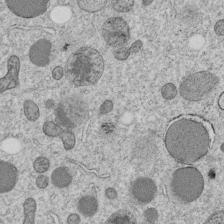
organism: C. elegans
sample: C. elegans embryo early stage